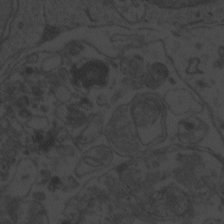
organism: Zebrafish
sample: Macrophage infected with Toxoplasma gondii